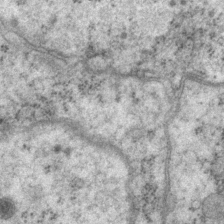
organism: P. pacificus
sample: Pharynx